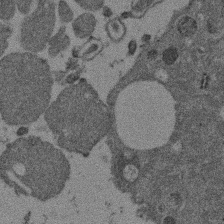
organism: Mouse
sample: Dividing mouse embryo 1 cell stage